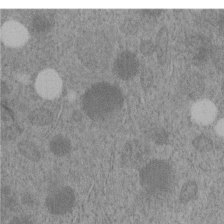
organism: C. elegans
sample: C. elegans embryo early stage